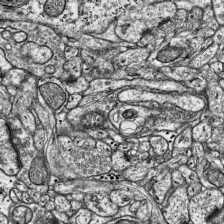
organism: Mouse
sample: Visual Cortex